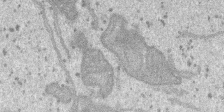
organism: Human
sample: Lung epithelial cells infected with SARS-CoV-2